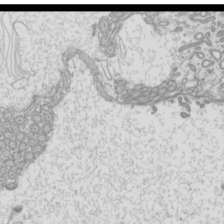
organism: Mouse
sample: Cilia; mouse epididymis